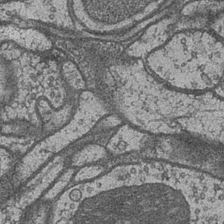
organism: Drosophila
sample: Optic medulla